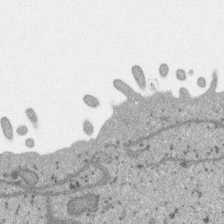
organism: Human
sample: Lung epithelial cells infected with SARS-CoV-2